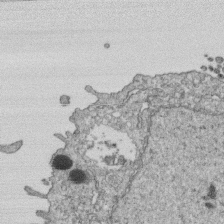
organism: Human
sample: HeLa cell HIV synapse